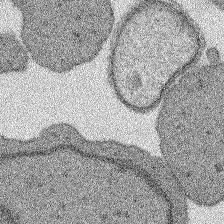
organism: Human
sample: HeLa cells